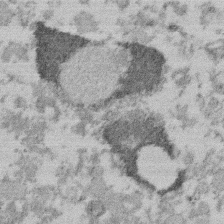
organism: Mouse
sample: Dividing mouse embryo 1 cell stage